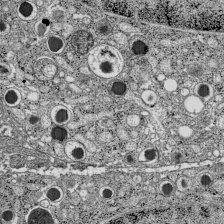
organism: C57BL Mouse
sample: Pancreatic islet